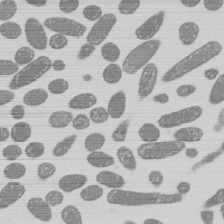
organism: E. coli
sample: Bacterial nucleoid